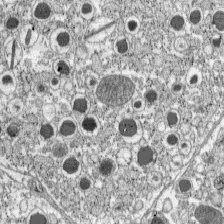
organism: C57BL Mouse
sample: Pancreatic islet